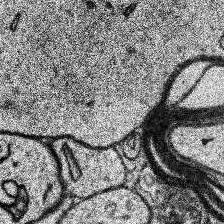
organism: Human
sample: Temporal Lobe